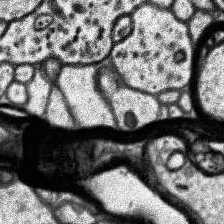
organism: Human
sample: Temporal Lobe